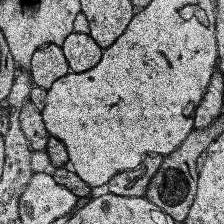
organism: Human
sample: Temporal Lobe